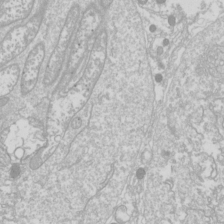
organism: Drosophila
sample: Cell division; meiosis; drosophila spermatocytes